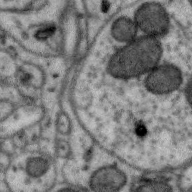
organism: Zebra finch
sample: Brain